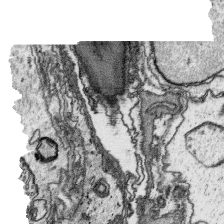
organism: Platynereis dumerilii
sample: Parapodia